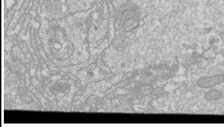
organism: Drosophila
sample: Cell division; meiosis; drosophila spermatocytes